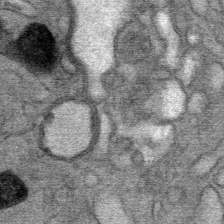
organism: Mouse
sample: Mouse Salivary gland